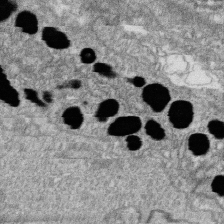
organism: Zebrafish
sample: Cilia; retinal pigment epithelium